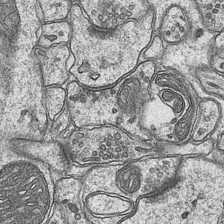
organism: Mouse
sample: CA1 Hippocampus